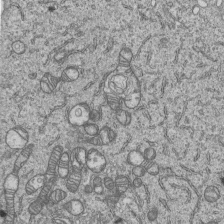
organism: Human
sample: MDA-MB-231 cells